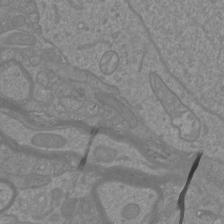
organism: Mouse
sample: Cortical neurons